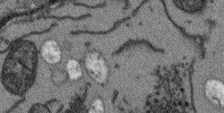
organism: Arabidopsis thaliana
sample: Root tip